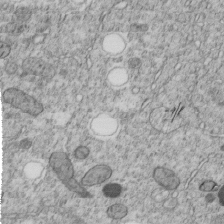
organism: C. elegans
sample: C. elegans embryo early stage